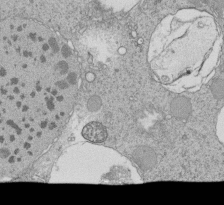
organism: Tetrahymena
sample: Cilia in tetrahymena